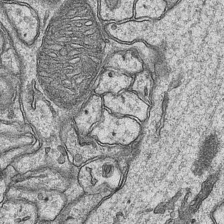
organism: Mouse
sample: CA1 Hippocampus